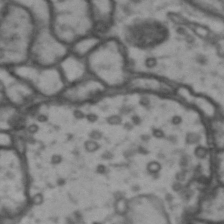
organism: Drosophila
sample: Brain